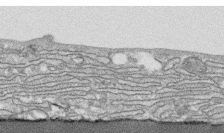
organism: Human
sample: CRL-1474